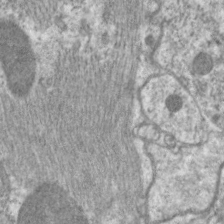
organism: C. elegans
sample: Pharynx